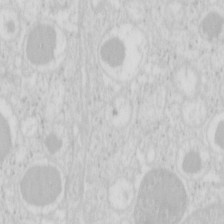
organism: Mouse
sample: Pancreas